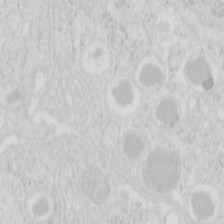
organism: Mouse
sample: Pancreas